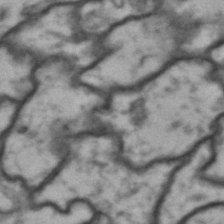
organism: Drosophila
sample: Brain